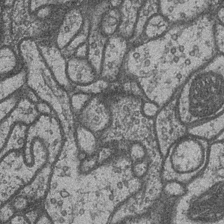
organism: Drosophila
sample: Optic medulla